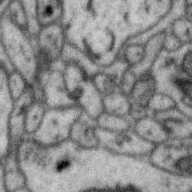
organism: Zebra finch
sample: Brain